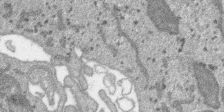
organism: Human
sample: Lung epithelial cells infected with SARS-CoV-2